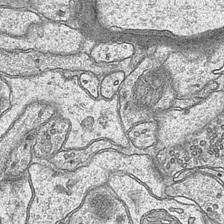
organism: Mouse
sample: CA1 Hippocampus